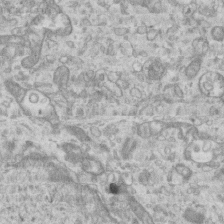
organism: Mouse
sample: Centriole in ependymal cells